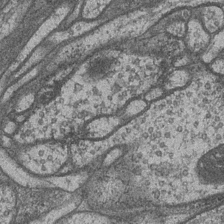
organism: Drosophila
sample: Optic medulla